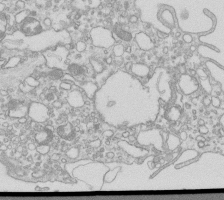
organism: Mouse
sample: Macrophages